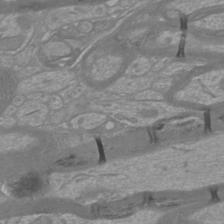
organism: Mouse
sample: Cortical neurons